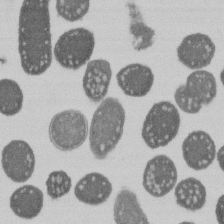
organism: E. coli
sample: Bacterial nucleoid